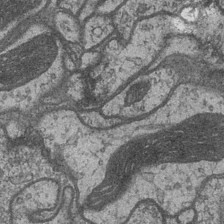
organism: Drosophila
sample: Optic medulla